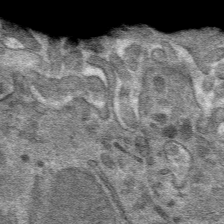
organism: Mouse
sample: Mouse hepatocytes